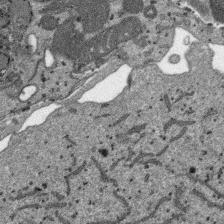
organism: Human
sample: Lung epithelial cells infected with SARS-CoV-2